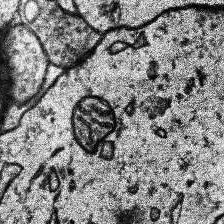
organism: Human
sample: Temporal Lobe